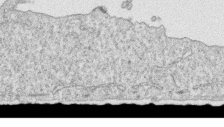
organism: Human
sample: HeLa cell HIV synapse